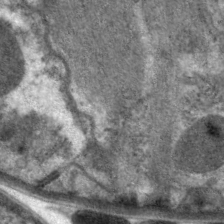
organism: C. elegans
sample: Pharynx